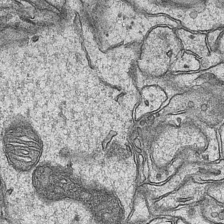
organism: Mouse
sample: CA1 Hippocampus